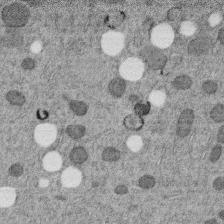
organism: C. elegans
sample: C. elegans embryo early stage